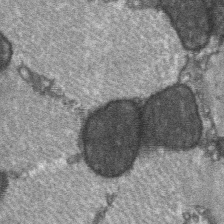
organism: C57BL Mouse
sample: Soleus